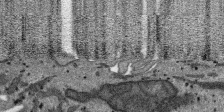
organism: Human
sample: Lung epithelial cells, uninfected (mock) control